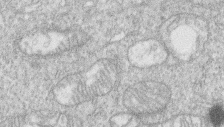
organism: Human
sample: HeLa cell HIV synapse